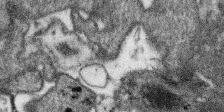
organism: Human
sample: Lung epithelial cells infected with SARS-CoV-2